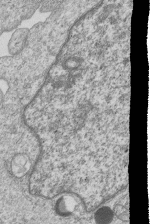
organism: Human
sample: MDA-MB-231 cells